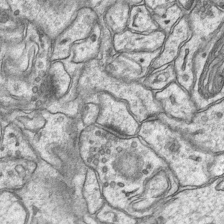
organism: Mouse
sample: CA1 Hippocampus